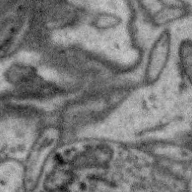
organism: Zebra finch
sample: Brain